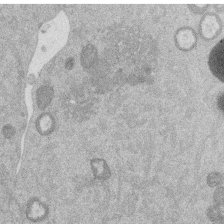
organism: Mouse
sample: Dividing mouse embryo 1 cell stage